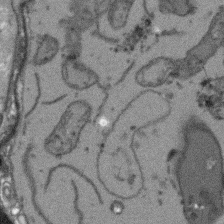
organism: Arabidopsis thaliana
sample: Root tip